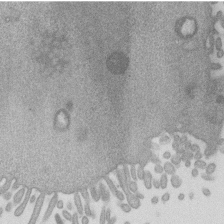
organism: Mouse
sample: Dividing mouse embryo 1 cell stage